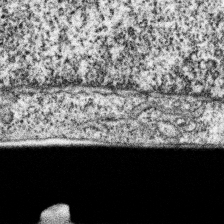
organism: Human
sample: HeLa cells